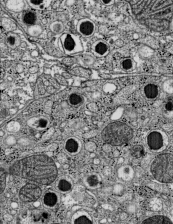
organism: C57BL Mouse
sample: Pancreatic islet